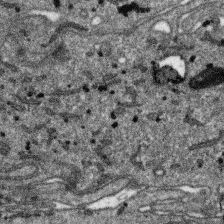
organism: Human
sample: Lung epithelial cells infected with SARS-CoV-2